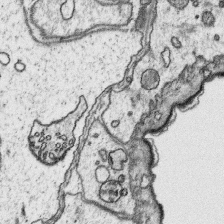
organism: Platynereis dumerilii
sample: Parapodia